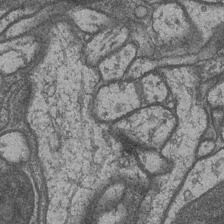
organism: Drosophila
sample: Optic medulla